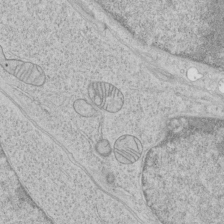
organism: Human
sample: Mitochondria in HCT116 cells